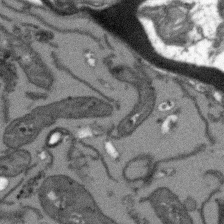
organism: Arabidopsis thaliana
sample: Root tip